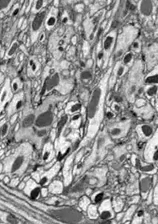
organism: Drosophila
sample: Optic lobe